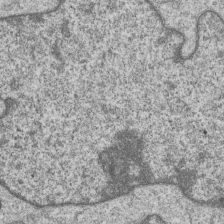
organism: Human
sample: MDA-MB-231 cells